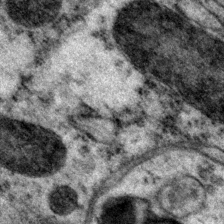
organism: P. pacificus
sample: Pharynx